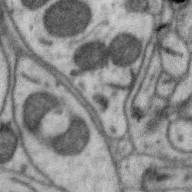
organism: Zebra finch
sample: Brain